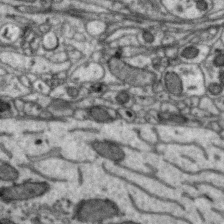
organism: Zebra finch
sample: Brain